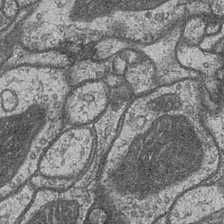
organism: Drosophila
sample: Optic medulla